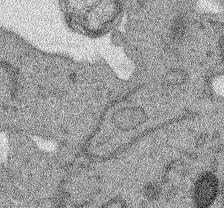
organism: Human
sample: HeLa cells